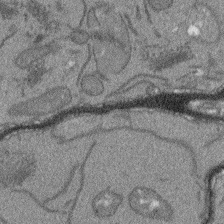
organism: Arabidopsis thaliana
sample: Root tip